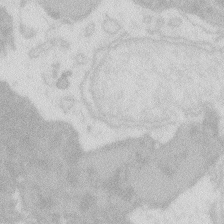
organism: Zebrafish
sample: Macrophage